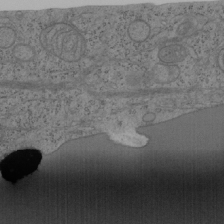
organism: Human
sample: HeLa cells